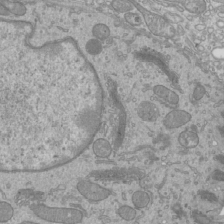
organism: Mouse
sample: Cilia; mouse epididymis